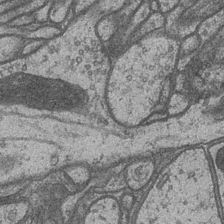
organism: Drosophila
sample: Optic medulla